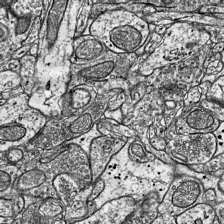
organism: Mouse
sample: Visual Cortex